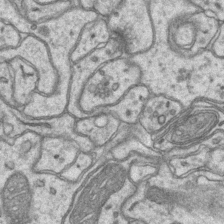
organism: Mouse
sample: CA1 Hippocampus